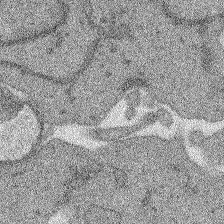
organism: Human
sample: HeLa cells